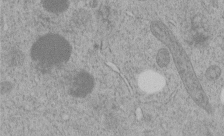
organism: C. elegans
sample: C. elegans embryo early stage